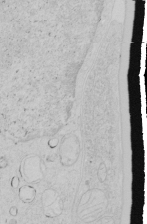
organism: Human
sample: Mitochondria in HCT116 cells